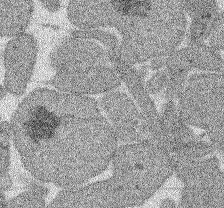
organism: Human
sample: HeLa cells